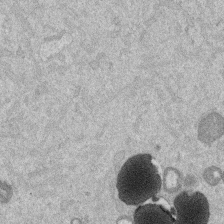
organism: Mouse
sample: Dividing mouse embryo 1 cell stage